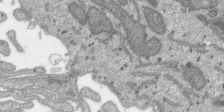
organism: Human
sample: Lung epithelial cells infected with SARS-CoV-2